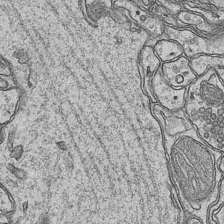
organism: Mouse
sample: CA1 Hippocampus